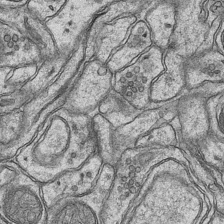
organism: Mouse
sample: CA1 Hippocampus